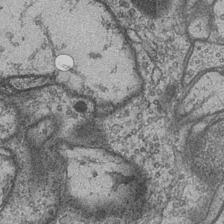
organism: Drosophila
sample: Optic medulla